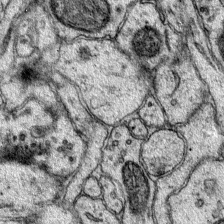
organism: Mouse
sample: Primary visual cortex